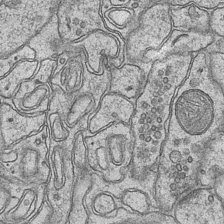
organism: Mouse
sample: CA1 Hippocampus